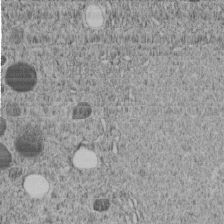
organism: C. elegans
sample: C. elegans embryo early stage